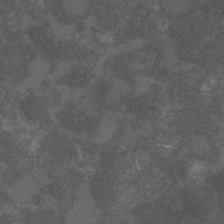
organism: C. elegans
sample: C. elegans embryo